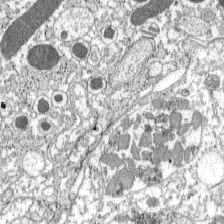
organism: C57BL Mouse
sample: Pancreatic islet